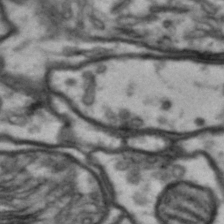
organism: Drosophila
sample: Brain